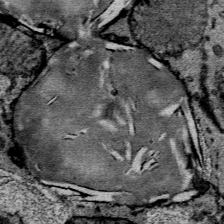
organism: Mouse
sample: Mouse Salivary gland